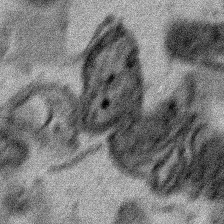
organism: Human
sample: Mitochondria in HCT116 cells